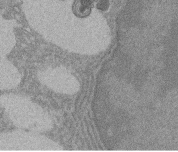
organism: Rat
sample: Salivary granule